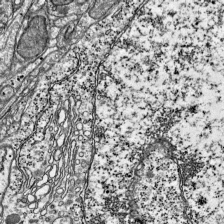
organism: Mouse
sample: Visual Cortex